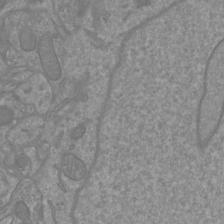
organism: Mouse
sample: Cortical neurons